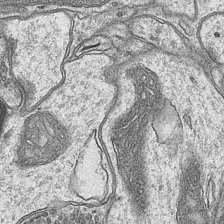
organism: Mouse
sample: CA1 Hippocampus